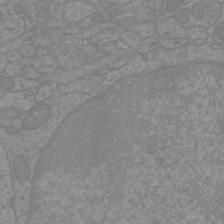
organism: Mouse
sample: Cortical neurons